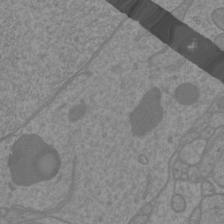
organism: Mouse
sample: Cortical neurons